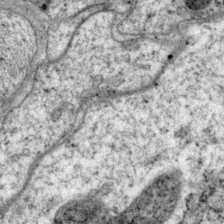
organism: P. pacificus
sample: Pharynx